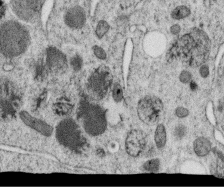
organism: C. elegans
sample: C. elegans oocyte; sperm cells